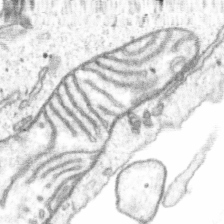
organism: Human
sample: HeLa cells